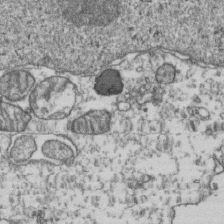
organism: Human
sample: Activated Jurkat CD4+ T cells